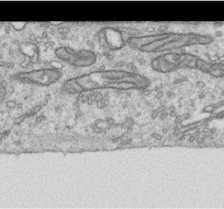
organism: Human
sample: Centriole in RPE cells